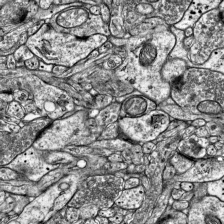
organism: Mouse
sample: Visual Cortex